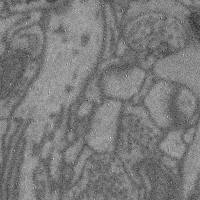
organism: Mouse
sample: Cerebral cortex